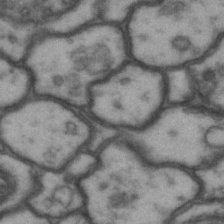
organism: Drosophila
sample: Brain